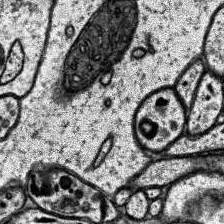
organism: Human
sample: Temporal Lobe